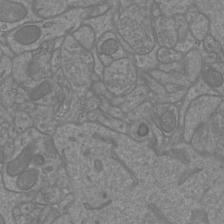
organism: Mouse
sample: Cortical neurons